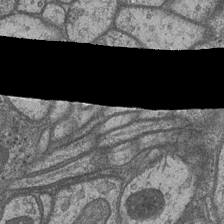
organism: Drosophila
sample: Optic medulla